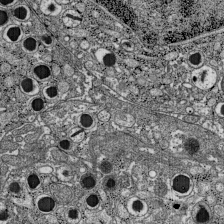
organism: C57BL Mouse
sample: Pancreatic islet